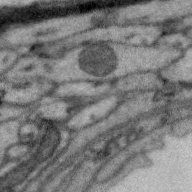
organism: Zebra finch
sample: Brain